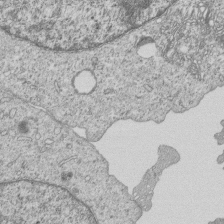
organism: Human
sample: MDA-MB-231 cells